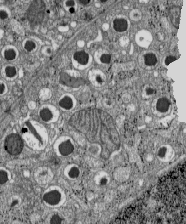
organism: C57BL Mouse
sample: Pancreatic islet